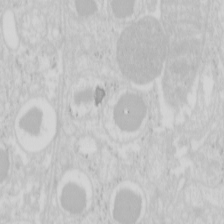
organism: Mouse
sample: Pancreas